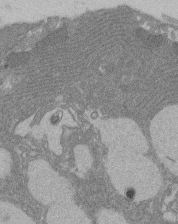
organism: Rat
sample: Salivary granule